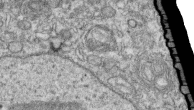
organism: Human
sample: HeLa cell HIV synapse